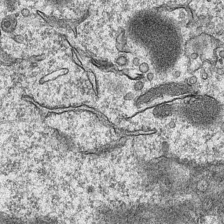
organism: Mouse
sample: CA1 Hippocampus